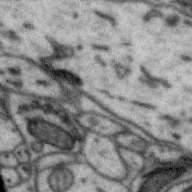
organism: Zebra finch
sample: Brain